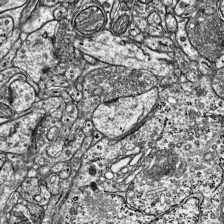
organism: Mouse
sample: Visual Cortex